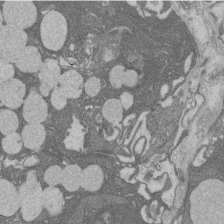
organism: Rat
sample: Salivary granule